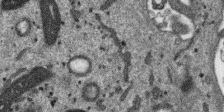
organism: Human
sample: Lung epithelial cells infected with SARS-CoV-2